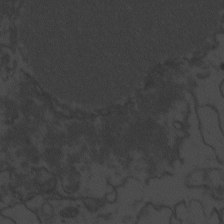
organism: Zebrafish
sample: Macrophage infected with Toxoplasma gondii